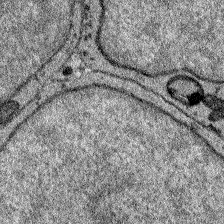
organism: Zebrafish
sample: Larval olfactory bulb